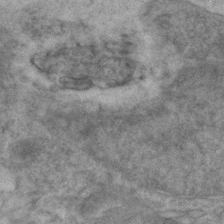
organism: Zebrafish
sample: Zebrafish embryo